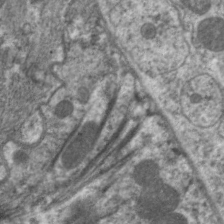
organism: C. elegans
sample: Pharynx